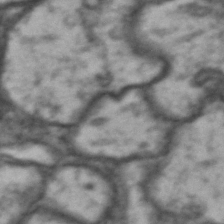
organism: Drosophila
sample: Brain